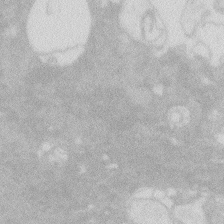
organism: Zebrafish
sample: Macrophage